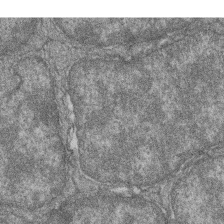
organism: Zebrafish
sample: Cilia; retinal pigment epithelium